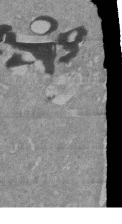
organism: Mouse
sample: ED-1 cell nuclei; centrioles